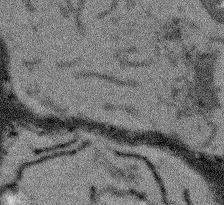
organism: Arabidopsis thaliana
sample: Root tip